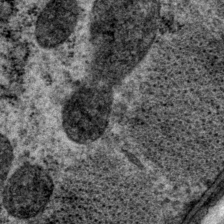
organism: P. pacificus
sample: Pharynx